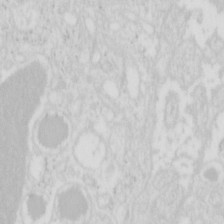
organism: Mouse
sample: Pancreas